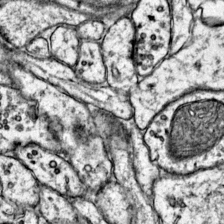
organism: Mouse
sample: Primary visual cortex